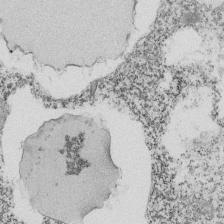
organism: Tetrahymena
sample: Cilia in tetrahymena